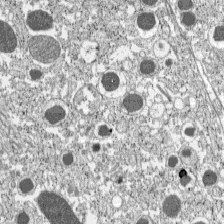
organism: C57BL Mouse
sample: Pancreatic islet